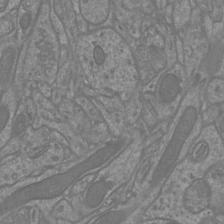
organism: Mouse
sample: Cortical neurons